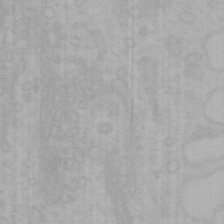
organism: Mouse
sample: Choroid plexus